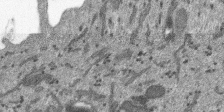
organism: Human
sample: Lung epithelial cells infected with SARS-CoV-2